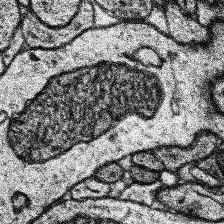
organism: Human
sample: Temporal Lobe